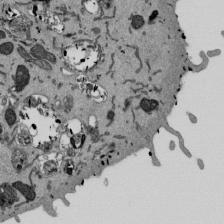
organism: Mouse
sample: ED-1 cell nuclei; centrioles